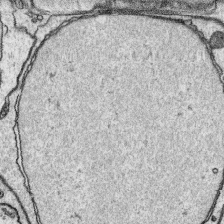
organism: Platynereis dumerilii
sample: Parapodia